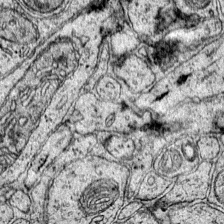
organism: Mouse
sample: Primary visual cortex